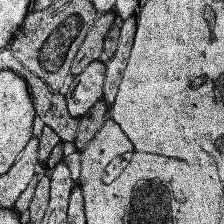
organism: Human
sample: Temporal Lobe